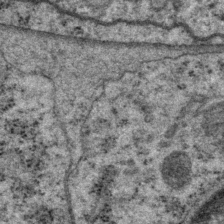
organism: P. pacificus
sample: Pharynx